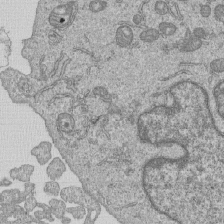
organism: Human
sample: MDA-MB-231 cells